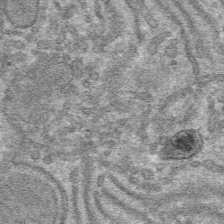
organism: Mouse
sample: Mouse hepatocytes